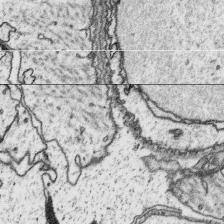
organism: Platynereis dumerilii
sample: Parapodia